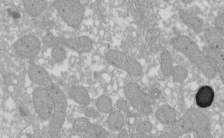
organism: Xenopus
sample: Cilia; centrioles in frog embryo cells